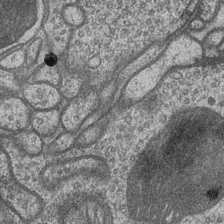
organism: Drosophila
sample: Optic medulla